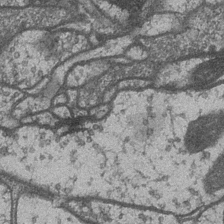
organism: Drosophila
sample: Optic medulla